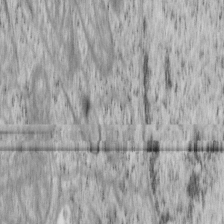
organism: Human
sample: HeLa cells